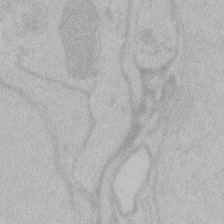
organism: Zebrafish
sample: Macrophage infected with Toxoplasma gondii